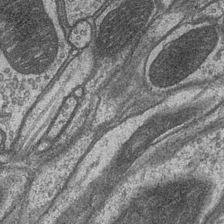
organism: Drosophila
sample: Optic medulla